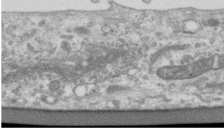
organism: Human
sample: Centriole in RPE cells